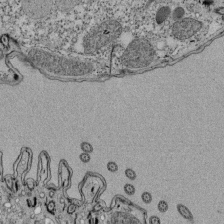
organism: Tetrahymena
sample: Cilia in tetrahymena